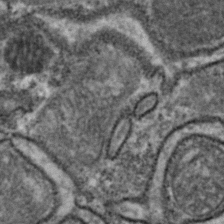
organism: Zebrafish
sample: Zebrafish embryo